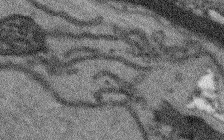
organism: Arabidopsis thaliana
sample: Root tip